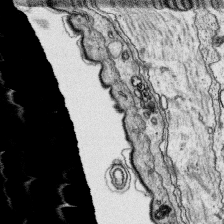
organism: Platynereis dumerilii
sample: Parapodia